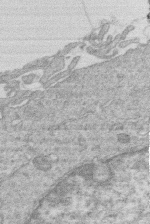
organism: Human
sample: Macrophage cells